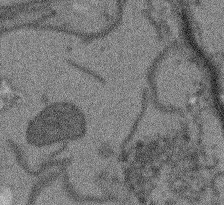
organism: Arabidopsis thaliana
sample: Root tip